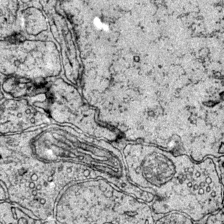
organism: Mouse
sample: Primary visual cortex